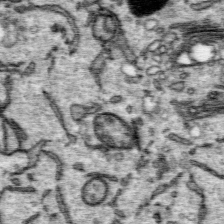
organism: Human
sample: HeLa cells